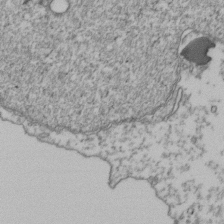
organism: Human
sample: Activated Jurkat CD4+ T cells